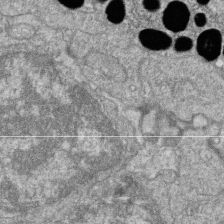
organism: Zebrafish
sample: Cilia; retinal pigment epithelium